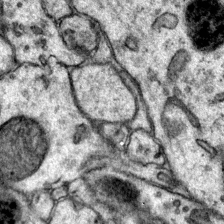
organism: Mouse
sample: Primary visual cortex